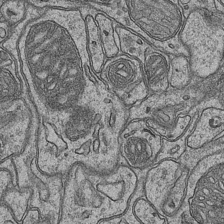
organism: Mouse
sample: CA1 Hippocampus